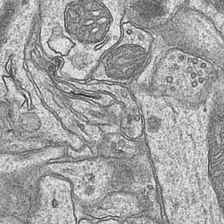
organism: Mouse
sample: CA1 Hippocampus